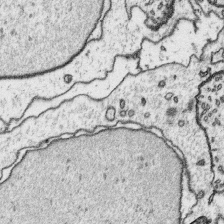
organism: Platynereis dumerilii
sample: Parapodia